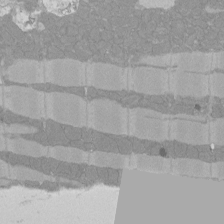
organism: Rat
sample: Left ventricle